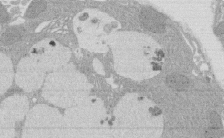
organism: Rat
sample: Salivary granule